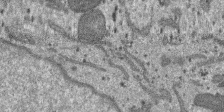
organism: Human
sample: Lung epithelial cells infected with SARS-CoV-2